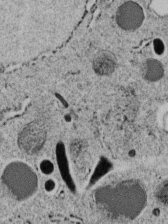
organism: C. elegans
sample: C. elegans embryo early stage